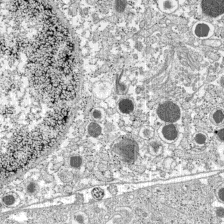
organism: C57BL Mouse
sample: Pancreatic islet